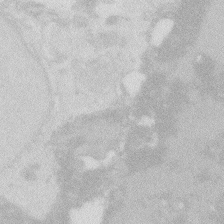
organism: Zebrafish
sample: Macrophage